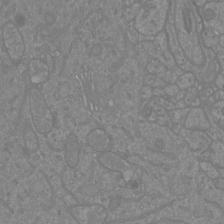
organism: Mouse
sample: Cortical neurons